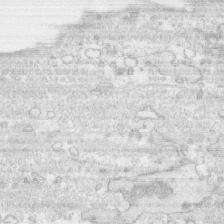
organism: Human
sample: CRL-1474